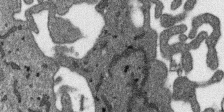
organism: Human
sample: Lung epithelial cells infected with SARS-CoV-2